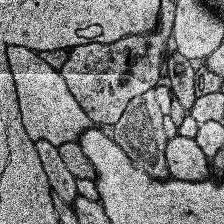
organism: Human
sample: Temporal Lobe